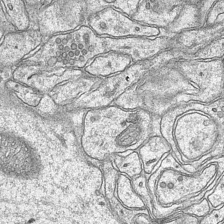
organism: Mouse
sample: CA1 Hippocampus